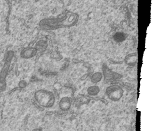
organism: Human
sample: MDA-MB-231 cells